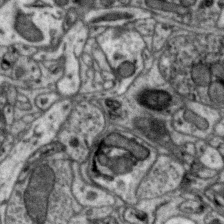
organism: Zebra finch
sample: Brain